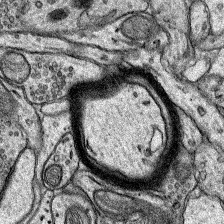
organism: Rat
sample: Hippocampus